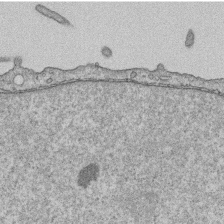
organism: Human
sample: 1205lu cells